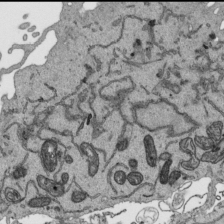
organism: Human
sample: Mitochondria in HCT116 cells